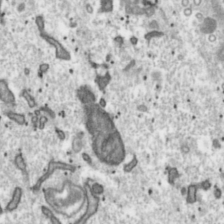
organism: Toxoplasma gondii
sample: Parasites in a vacuole inside a host cell